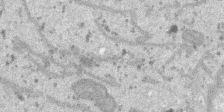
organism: Human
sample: Lung epithelial cells infected with SARS-CoV-2